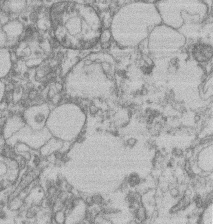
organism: Mouse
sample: T cell stromal cell synapse